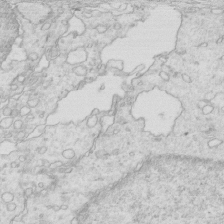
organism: Mouse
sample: Multiciliated cells